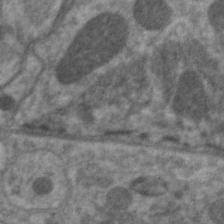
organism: C. elegans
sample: Pharynx